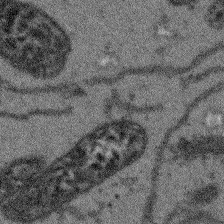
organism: Arabidopsis thaliana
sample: Root tip